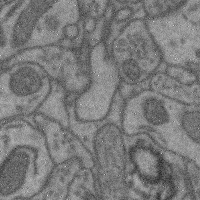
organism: Mouse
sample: Cerebral cortex